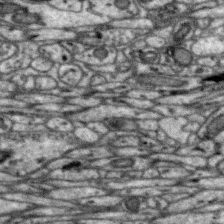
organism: Zebra finch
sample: Brain